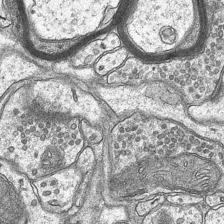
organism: Mouse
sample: CA1 Hippocampus